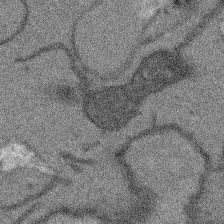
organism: Arabidopsis thaliana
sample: Root tip